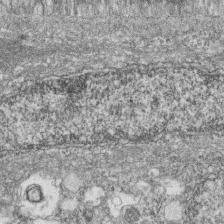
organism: Zebrafish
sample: Cilia; retinal pigment epithelium